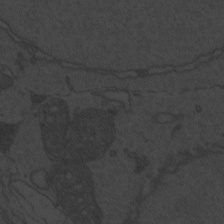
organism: Zebrafish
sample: Macrophage infected with Toxoplasma gondii